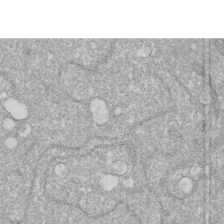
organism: Human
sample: HIV infected U937 cells